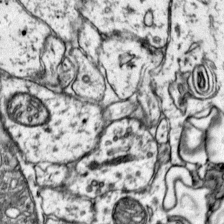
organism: Mouse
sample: Primary visual cortex